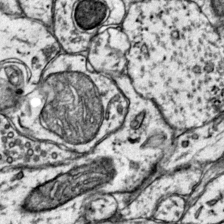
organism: Mouse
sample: Primary visual cortex